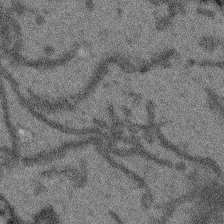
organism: Arabidopsis thaliana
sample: Root tip